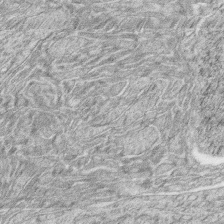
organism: Zebrafish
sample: synaptic ribbons in rod cells and cone cells